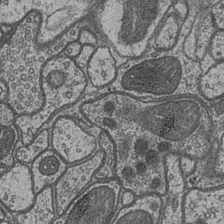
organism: Drosophila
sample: Optic medulla